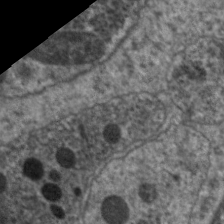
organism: C. elegans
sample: Pharynx